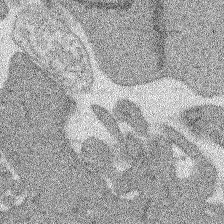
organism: Human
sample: HeLa cells